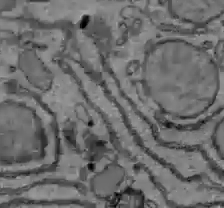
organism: C57BL Mouse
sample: Liver